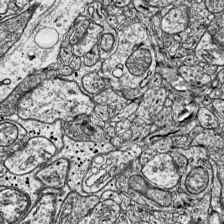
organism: Mouse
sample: Visual Cortex